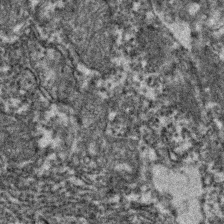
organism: Zebrafish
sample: Zebrafish embryo